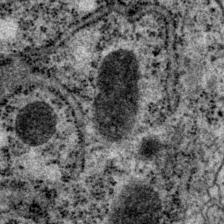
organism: P. pacificus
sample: Pharynx